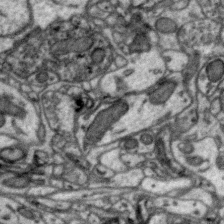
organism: Zebra finch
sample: Brain